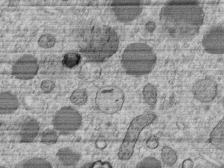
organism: C. elegans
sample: C. elegans embryo early stage